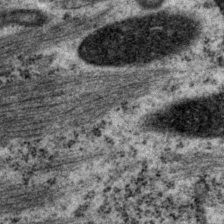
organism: P. pacificus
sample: Pharynx